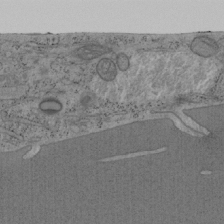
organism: Human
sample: HeLa cells